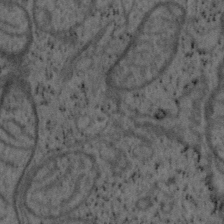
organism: Human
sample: HeLa cells